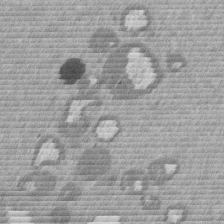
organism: Mouse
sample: Dividing mouse embryo 1 cell stage